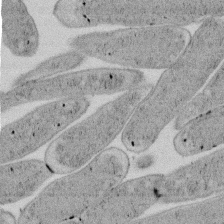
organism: E. coli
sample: Bacterial nucleoid